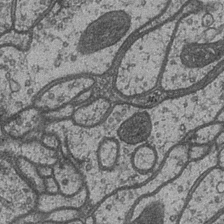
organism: Drosophila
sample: Optic medulla